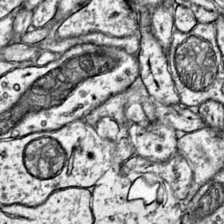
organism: Mouse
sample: Primary visual cortex